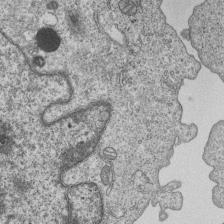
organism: Human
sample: MDA-MB-231 cells